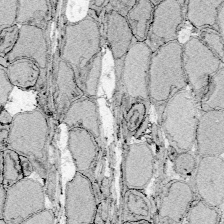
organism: Zebrafish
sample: Whole-Brain